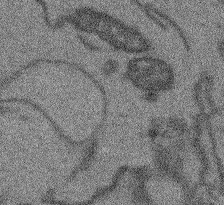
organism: Arabidopsis thaliana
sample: Root tip